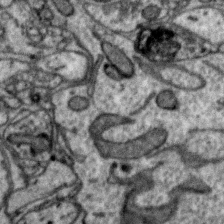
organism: Zebra finch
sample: Brain